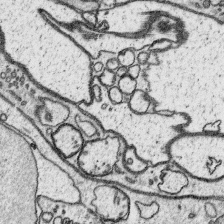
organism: Platynereis dumerilii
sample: Parapodia